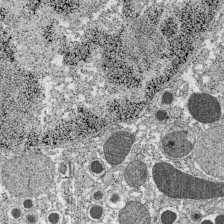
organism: C57BL Mouse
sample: Pancreatic islet